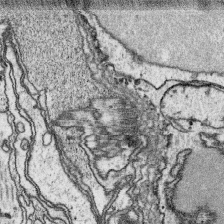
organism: Platynereis dumerilii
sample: Parapodia